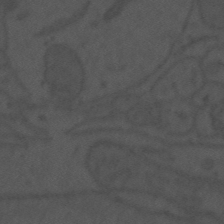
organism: Mouse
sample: Suprachiasmatic nucleus